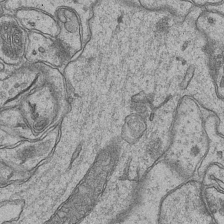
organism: Mouse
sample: CA1 Hippocampus